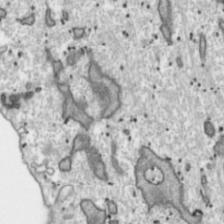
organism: Toxoplasma gondii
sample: Parasites in a vacuole inside a host cell